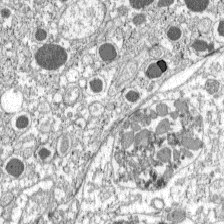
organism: C57BL Mouse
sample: Pancreatic islet